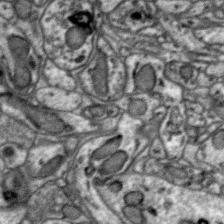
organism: Zebra finch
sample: Brain